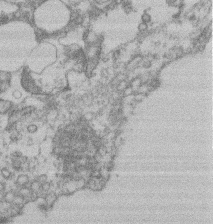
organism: Mouse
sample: T cell stromal cell synapse